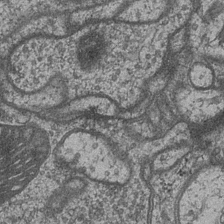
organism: Drosophila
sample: Optic medulla